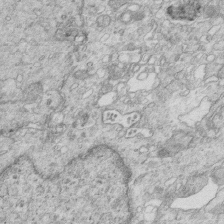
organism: Mouse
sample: Multiciliated cells